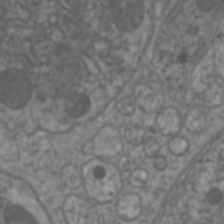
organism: C. elegans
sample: Pharynx